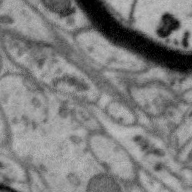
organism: Zebra finch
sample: Brain